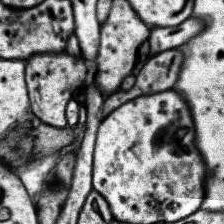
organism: Human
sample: Temporal Lobe